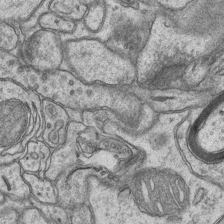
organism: Mouse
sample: CA1 Hippocampus